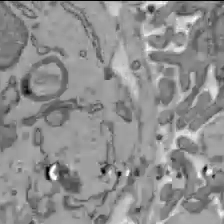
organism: C57BL Mouse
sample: Liver